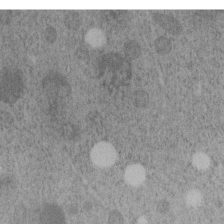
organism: C. elegans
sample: C. elegans embryo early stage